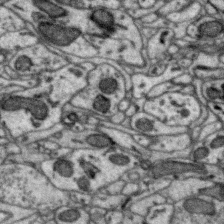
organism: Zebra finch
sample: Brain